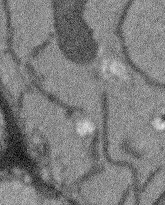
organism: Arabidopsis thaliana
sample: Root tip